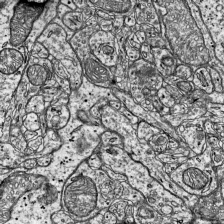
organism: Mouse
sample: Visual Cortex